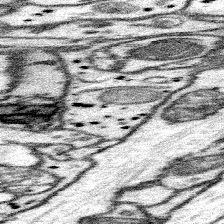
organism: Mouse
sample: Somatosensory cortex neuropil